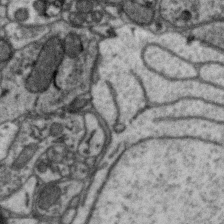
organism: Zebra finch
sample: Brain